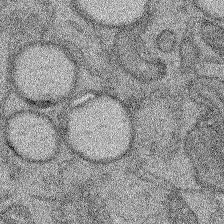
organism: Human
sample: HeLa cells